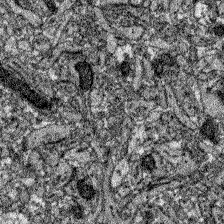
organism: Zebrafish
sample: Larval olfactory bulb